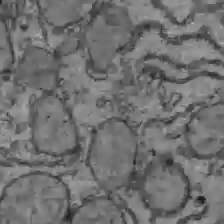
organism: C57BL Mouse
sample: Liver